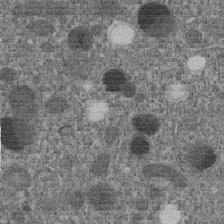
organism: C. elegans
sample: C. elegans embryo early stage